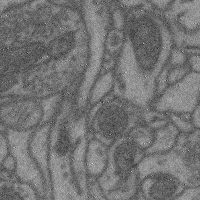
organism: Mouse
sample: Cerebral cortex